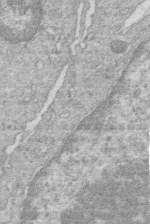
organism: Human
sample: Macrophage cells